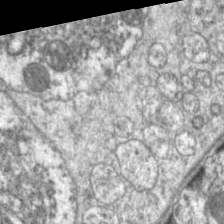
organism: C. elegans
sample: Pharynx